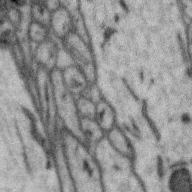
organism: Zebra finch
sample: Brain